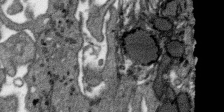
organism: Human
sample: Lung epithelial cells, uninfected (mock) control